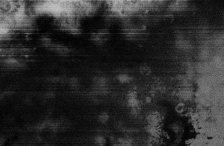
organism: Mouse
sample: Cilia; retinal pigment epithelium